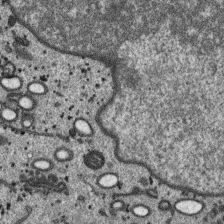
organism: Human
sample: Lung epithelial cells infected with SARS-CoV-2